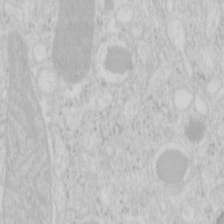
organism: Mouse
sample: Pancreas